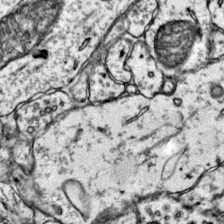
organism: Mouse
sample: Primary visual cortex